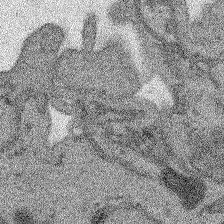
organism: Human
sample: HeLa cells